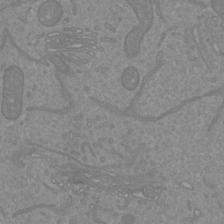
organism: Mouse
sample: Cortical neurons